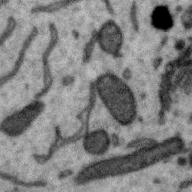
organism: Zebra finch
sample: Brain